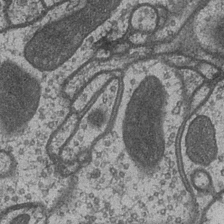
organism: Drosophila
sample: Optic medulla